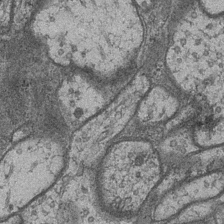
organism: Drosophila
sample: Optic medulla